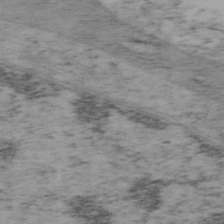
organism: Mouse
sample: OT-I killer T cells with ID8 ovarian cancer cells